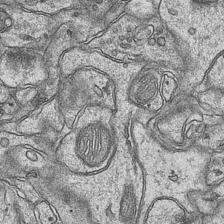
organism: Mouse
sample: CA1 Hippocampus